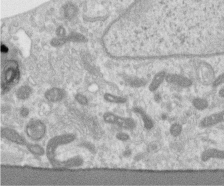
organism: Human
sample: Centriole in RPE cells